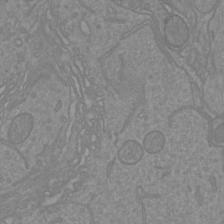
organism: Mouse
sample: Cortical neurons